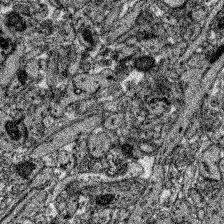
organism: Zebrafish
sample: Larval olfactory bulb